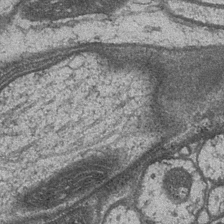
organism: Drosophila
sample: Optic medulla